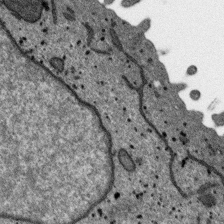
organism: Human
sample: Lung epithelial cells, uninfected (mock) control